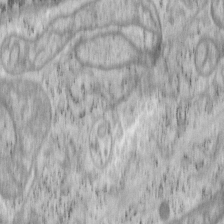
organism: Human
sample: HeLa cells